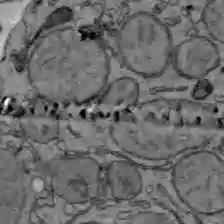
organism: C57BL Mouse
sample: Liver